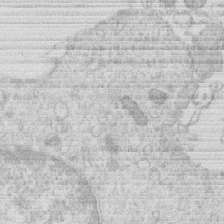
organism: Human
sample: Macrophage cells